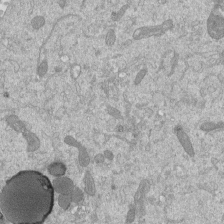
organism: Mouse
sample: ED-1 cell nuclei; centrioles